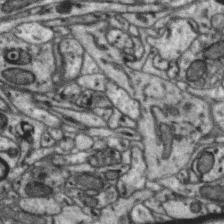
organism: Zebra finch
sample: Brain